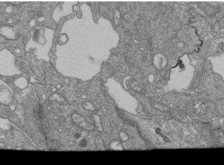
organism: Human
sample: Retinal organoid Rod and Cone cells